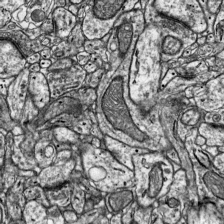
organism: Mouse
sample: Visual Cortex